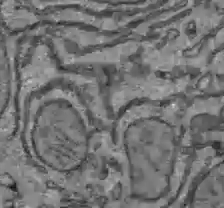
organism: C57BL Mouse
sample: Liver